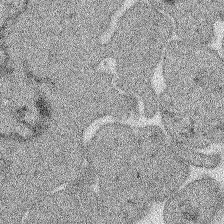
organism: Human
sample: HeLa cells